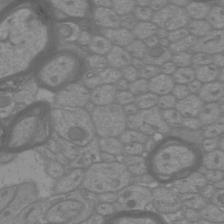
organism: Mouse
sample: Cortical neurons